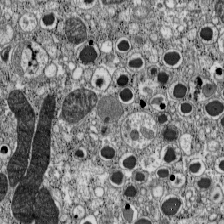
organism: C57BL Mouse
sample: Pancreatic islet